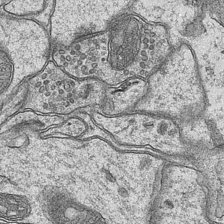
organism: Mouse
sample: CA1 Hippocampus